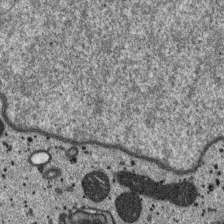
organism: Human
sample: Lung epithelial cells infected with SARS-CoV-2